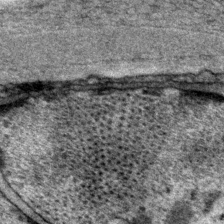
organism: P. pacificus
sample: Pharynx